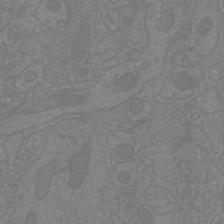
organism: Mouse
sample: Cortical neurons